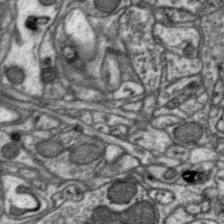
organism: Zebra finch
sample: Brain